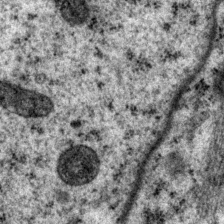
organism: P. pacificus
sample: Pharynx